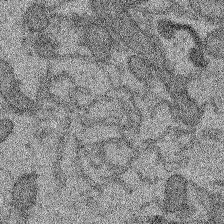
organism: Human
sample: HeLa cells